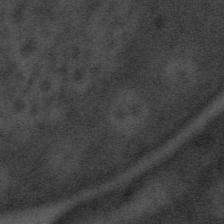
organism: Tuwongella immobilis